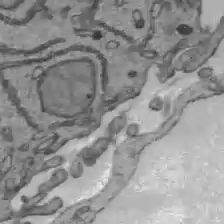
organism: C57BL Mouse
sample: Liver